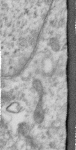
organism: Human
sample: Centriole in RPE cells